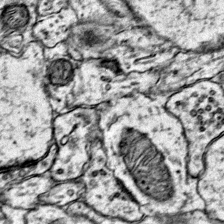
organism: Mouse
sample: Primary visual cortex